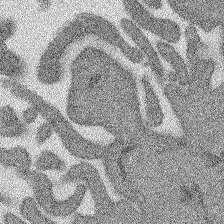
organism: Human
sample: HeLa cells